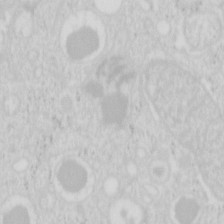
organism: Mouse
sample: Pancreas